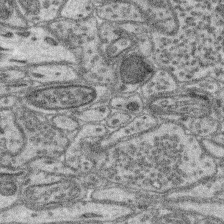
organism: Mouse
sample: Retina